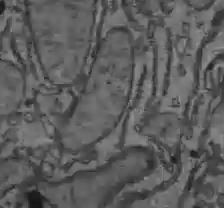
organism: C57BL Mouse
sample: Liver